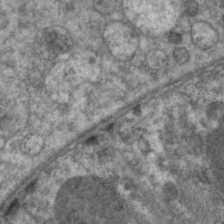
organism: C. elegans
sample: Pharynx